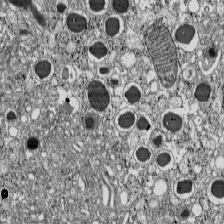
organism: C57BL Mouse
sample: Pancreatic islet